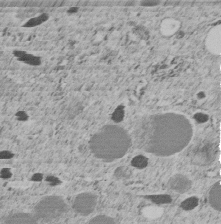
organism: C. elegans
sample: C. elegans embryo early stage